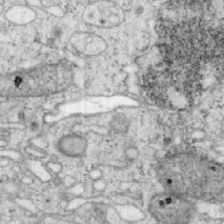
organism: Mouse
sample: OT-I killer T cells with ID8 ovarian cancer cells